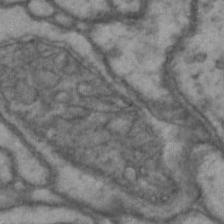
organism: Drosophila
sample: Brain